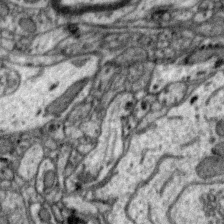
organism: Zebra finch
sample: Brain